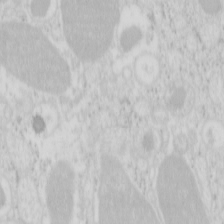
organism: Mouse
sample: Pancreas